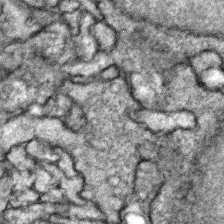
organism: Zebrafish